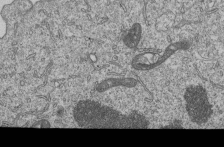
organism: Human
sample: MDA-MB-231 cells